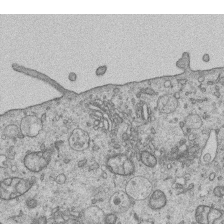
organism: Human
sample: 1205lu cells